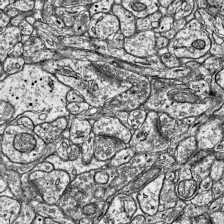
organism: Mouse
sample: Visual Cortex